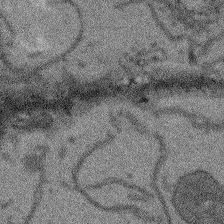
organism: Arabidopsis thaliana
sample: Root tip